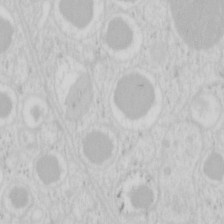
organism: Mouse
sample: Pancreas